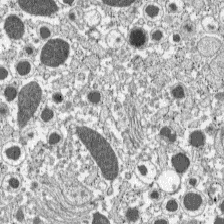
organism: C57BL Mouse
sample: Pancreatic islet